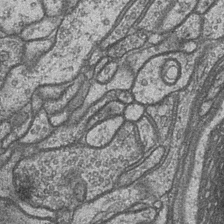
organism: Drosophila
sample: Optic medulla